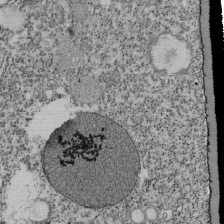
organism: Tetrahymena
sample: Cilia in tetrahymena